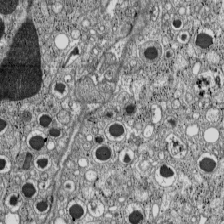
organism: C57BL Mouse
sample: Pancreatic islet